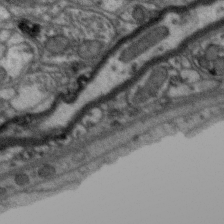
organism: Zebra finch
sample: Brain